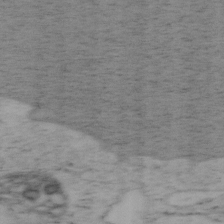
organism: Mouse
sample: OT-I killer T cells with ID8 ovarian cancer cells